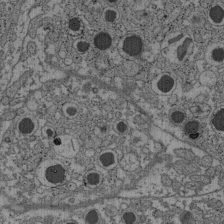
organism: C57BL Mouse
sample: Pancreatic islet